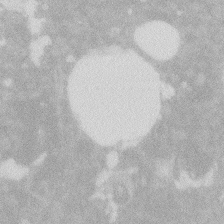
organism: Zebrafish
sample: Macrophage